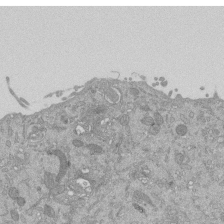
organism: Mouse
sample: ED-1 cell nuclei; centrioles